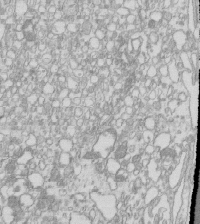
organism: Mouse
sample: Macrophages